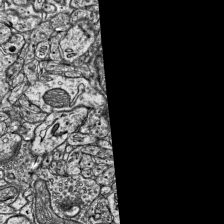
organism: Mouse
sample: Visual Cortex